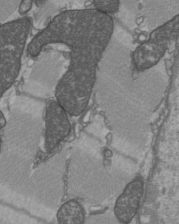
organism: C57BL Mouse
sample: Heart